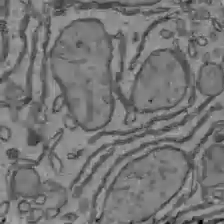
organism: C57BL Mouse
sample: Liver